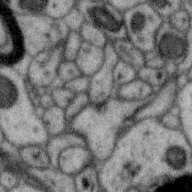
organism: Zebra finch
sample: Brain